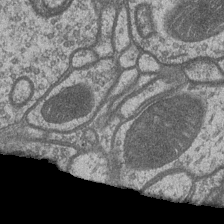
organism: Drosophila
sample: Optic medulla